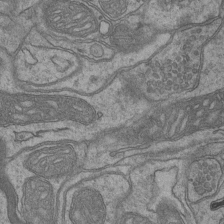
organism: Mouse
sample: CA1 Hippocampus